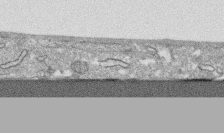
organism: Human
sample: CRL-1474